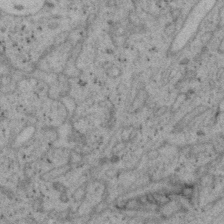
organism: Human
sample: HeLa cells